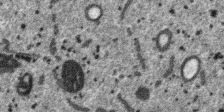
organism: Human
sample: Lung epithelial cells infected with SARS-CoV-2